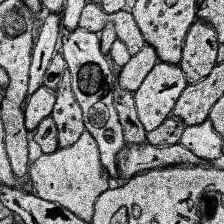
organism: Human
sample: Temporal Lobe